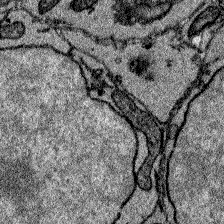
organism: Zebrafish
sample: Larval olfactory bulb